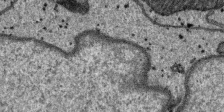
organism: Human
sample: Lung epithelial cells, uninfected (mock) control